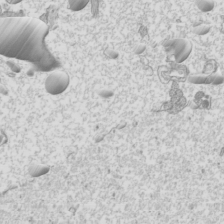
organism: Mouse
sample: Cilia; mouse epididymis